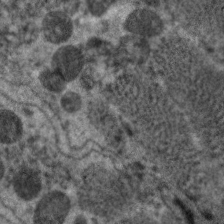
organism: C. elegans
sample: Pharynx